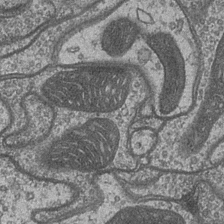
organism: Drosophila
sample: Optic medulla